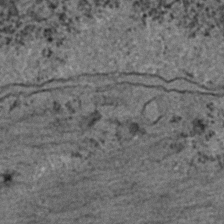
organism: C. elegans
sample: C. elegans embryo